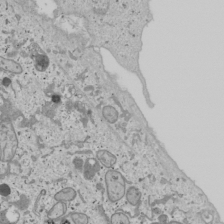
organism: Human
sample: Mitochondria in U2OS cells